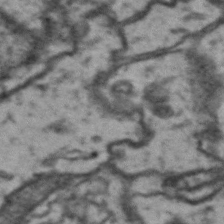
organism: Drosophila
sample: Brain